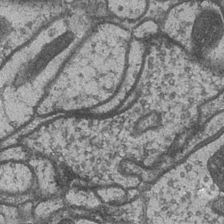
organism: Drosophila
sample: Optic medulla